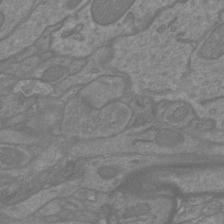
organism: Mouse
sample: Cortical neurons